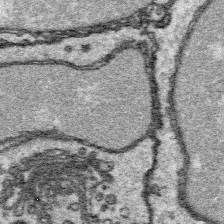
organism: Platynereis dumerilii